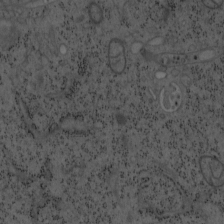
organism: Mouse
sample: OT-I killer T cells with ID8 ovarian cancer cells